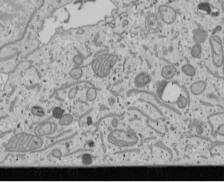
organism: Human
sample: Mitochondria in U2OS cells